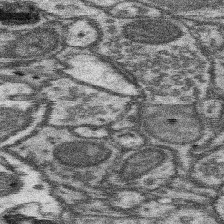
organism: Mouse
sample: Somatosensory cortex neuropil